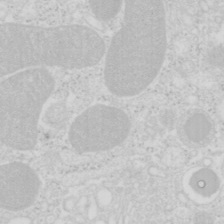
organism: Mouse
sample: Pancreas